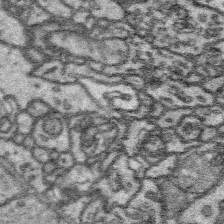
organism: Platynereis dumerilii